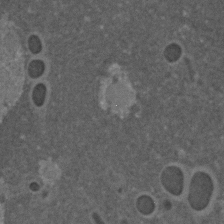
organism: C. elegans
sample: C. elegans embryo